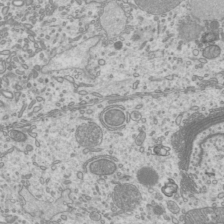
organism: Mouse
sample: Cilia; mouse epididymis